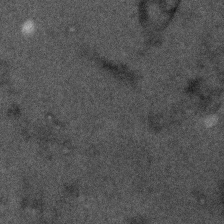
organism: Human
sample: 1205lu cells